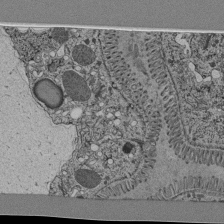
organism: C. elegans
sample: C. elegans pharynx